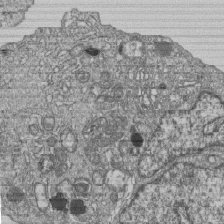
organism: Human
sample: MDA-MB-231 cells